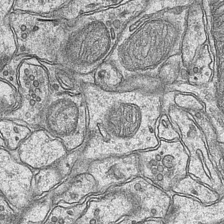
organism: Mouse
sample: CA1 Hippocampus